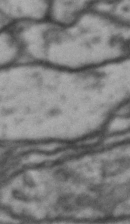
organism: Drosophila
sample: Brain